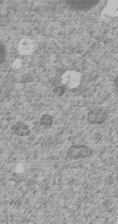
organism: C. elegans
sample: C. elegans embryo early stage